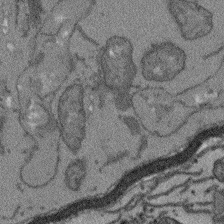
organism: Arabidopsis thaliana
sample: Root tip